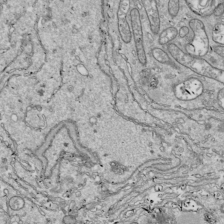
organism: Drosophila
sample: Cell division; meiosis; drosophila spermatocytes